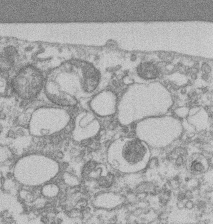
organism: Mouse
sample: T cell stromal cell synapse